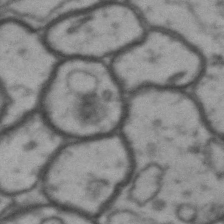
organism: Drosophila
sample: Brain